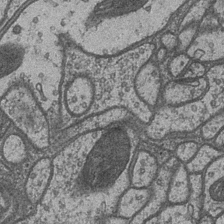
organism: Drosophila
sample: Optic medulla